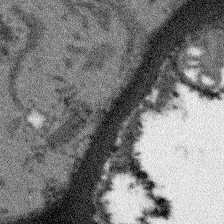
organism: Arabidopsis thaliana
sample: Root tip